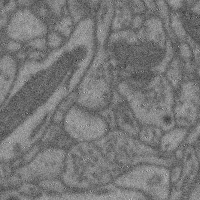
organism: Mouse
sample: Cerebral cortex